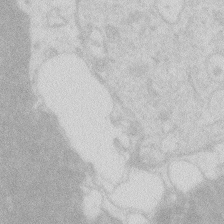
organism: Zebrafish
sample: Macrophage